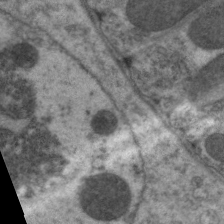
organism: C. elegans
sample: Pharynx